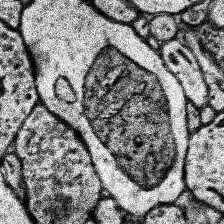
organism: Human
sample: Temporal Lobe